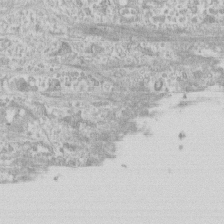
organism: Human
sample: CRL-1474